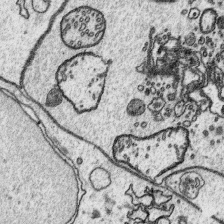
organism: Platynereis dumerilii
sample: Parapodia